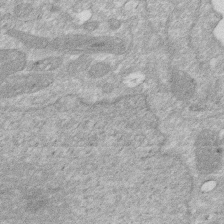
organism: Human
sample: HIV infected U937 cells